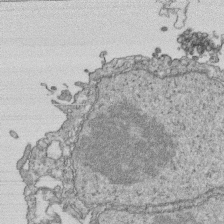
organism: Human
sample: HeLa cell HIV synapse